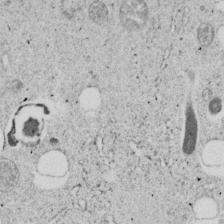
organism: C. elegans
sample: C. elegans embryo early stage